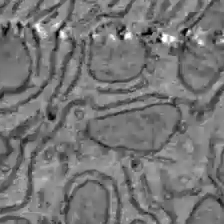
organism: C57BL Mouse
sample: Liver